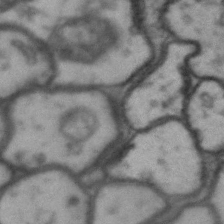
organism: Drosophila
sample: Brain